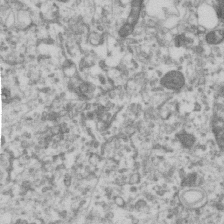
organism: Human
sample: Centriole in RPE cells